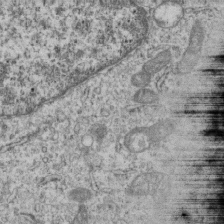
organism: Human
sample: MDA-MB-231 cells